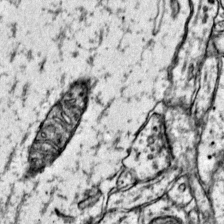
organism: Mouse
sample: Primary visual cortex